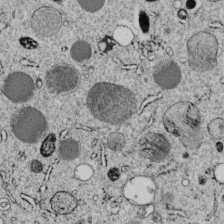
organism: C. elegans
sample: C. elegans embryo early stage